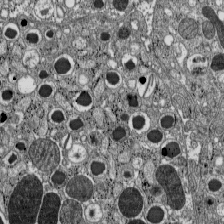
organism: C57BL Mouse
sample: Pancreatic islet